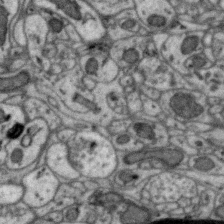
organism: Zebra finch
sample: Brain